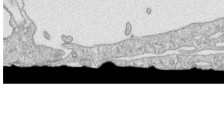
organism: Human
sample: HeLa cell HIV synapse